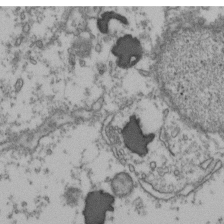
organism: Human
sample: Activated Jurkat CD4+ T cells